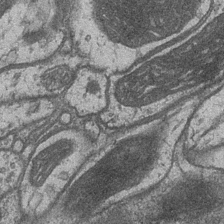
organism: Drosophila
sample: Optic medulla